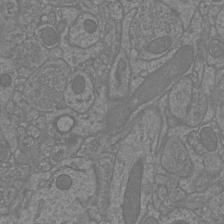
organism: Mouse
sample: Cortical neurons